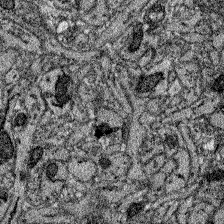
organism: Zebrafish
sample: Larval olfactory bulb